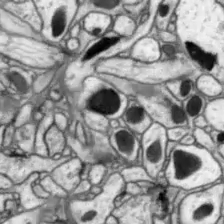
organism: Drosophila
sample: Optic lobe